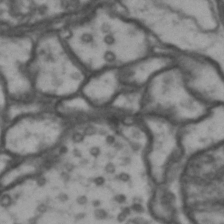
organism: Drosophila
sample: Brain